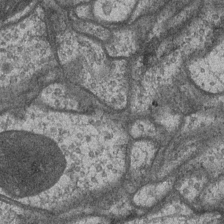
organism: Drosophila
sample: Optic medulla